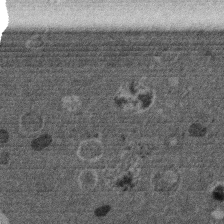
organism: Mouse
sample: Dividing mouse embryo 1 cell stage